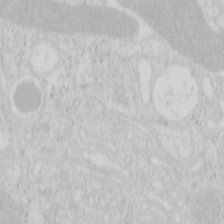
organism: Mouse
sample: Pancreas